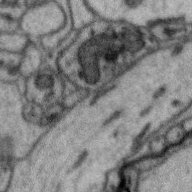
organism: Zebra finch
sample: Brain